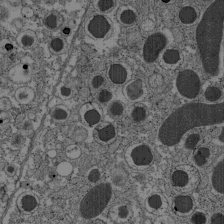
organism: C57BL Mouse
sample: Pancreatic islet